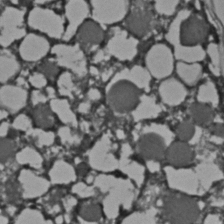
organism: C. elegans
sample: C. elegans embryo